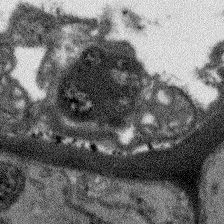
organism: Arabidopsis thaliana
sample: Root tip